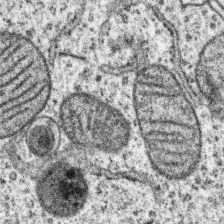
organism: Human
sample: HeLa cells